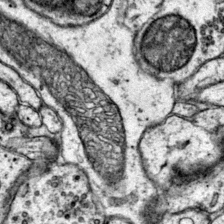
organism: Mouse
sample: Primary visual cortex